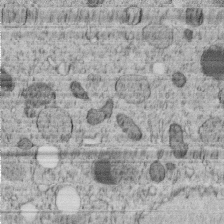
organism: C. elegans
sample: C. elegans embryo early stage